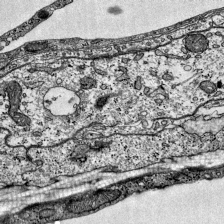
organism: Mouse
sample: Visual Cortex